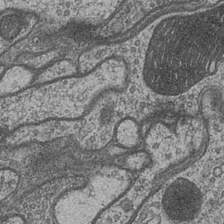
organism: Drosophila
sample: Optic medulla